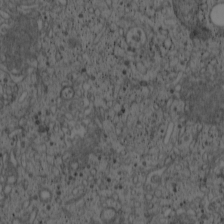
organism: African green monkey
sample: COS-7 cells